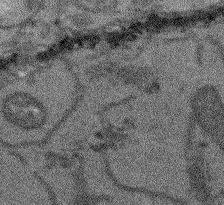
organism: Arabidopsis thaliana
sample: Root tip